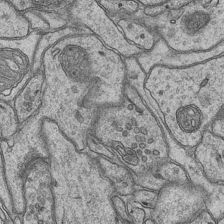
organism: Mouse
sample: CA1 Hippocampus